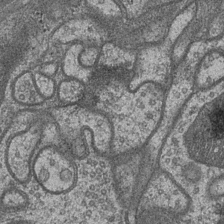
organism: Drosophila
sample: Optic medulla